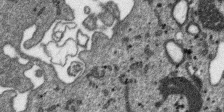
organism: Human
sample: Lung epithelial cells infected with SARS-CoV-2